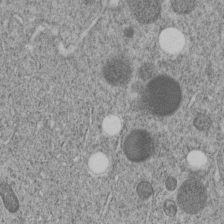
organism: C. elegans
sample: C. elegans embryo early stage